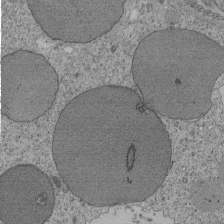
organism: Tetrahymena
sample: Cilia in tetrahymena